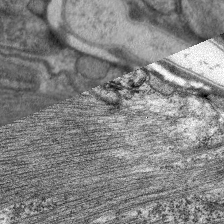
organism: C. elegans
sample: Pharynx